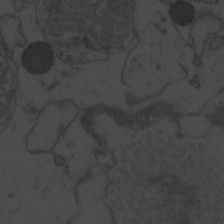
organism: Zebrafish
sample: Macrophage infected with Toxoplasma gondii